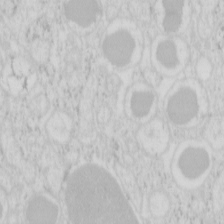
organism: Mouse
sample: Pancreas